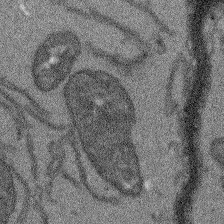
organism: Arabidopsis thaliana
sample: Root tip